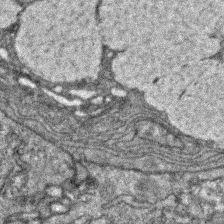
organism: Zebrafish